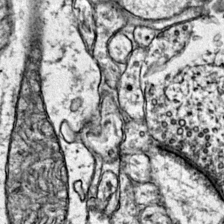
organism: Mouse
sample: Primary visual cortex